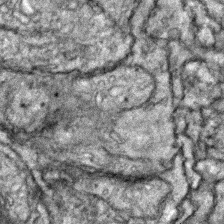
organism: Zebrafish